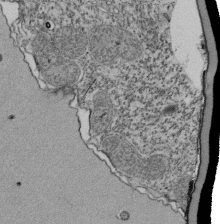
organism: Tetrahymena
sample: Cilia in tetrahymena